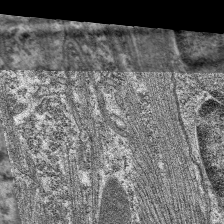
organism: C. elegans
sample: Pharynx